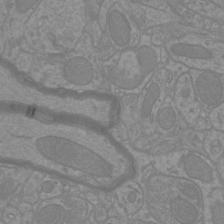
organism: Mouse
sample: Cortical neurons